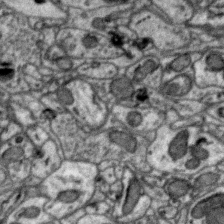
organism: Zebra finch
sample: Brain